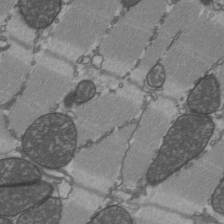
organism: C57BL Mouse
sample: Heart